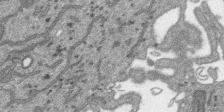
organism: Human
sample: Lung epithelial cells infected with SARS-CoV-2